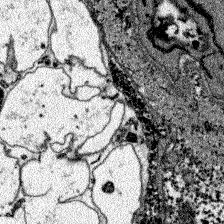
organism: Zebrafish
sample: Larval olfactory bulb